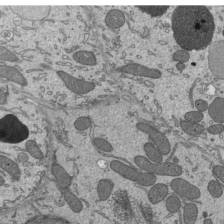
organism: Mouse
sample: Mouse epididymis efferent ductule cilia